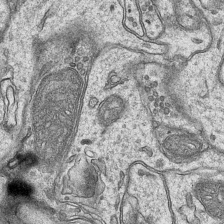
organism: Mouse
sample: CA1 Hippocampus